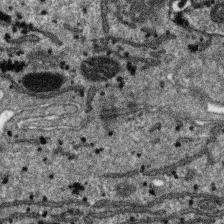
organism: Human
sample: Lung epithelial cells infected with SARS-CoV-2